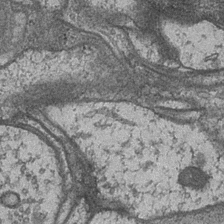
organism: Drosophila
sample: Optic medulla